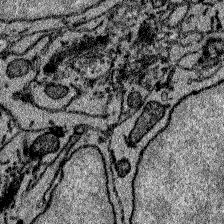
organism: Zebrafish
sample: Larval olfactory bulb